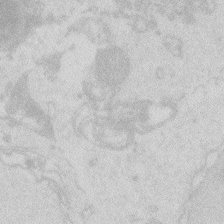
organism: Zebrafish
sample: Macrophage